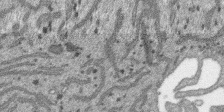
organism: Human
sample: Lung epithelial cells infected with SARS-CoV-2